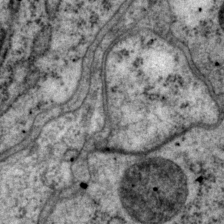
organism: P. pacificus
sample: Pharynx